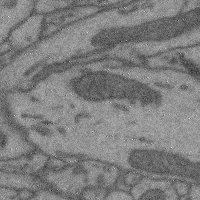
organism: Mouse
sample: Cerebral cortex